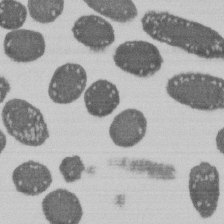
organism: E. coli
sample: Bacterial nucleoid